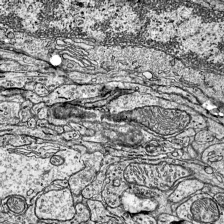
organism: Mouse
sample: Visual Cortex